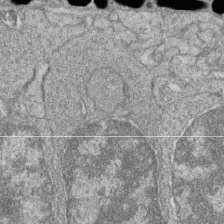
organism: Zebrafish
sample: Cilia; retinal pigment epithelium